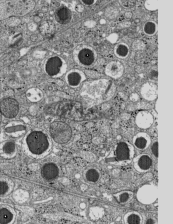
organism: C57BL Mouse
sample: Pancreatic islet